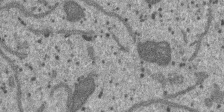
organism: Human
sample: Lung epithelial cells infected with SARS-CoV-2